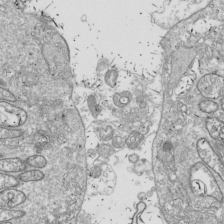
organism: Drosophila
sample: Cell division; meiosis; drosophila spermatocytes